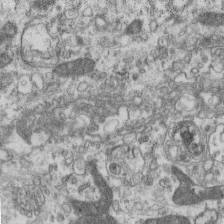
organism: Mouse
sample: Centriole in ependymal cells